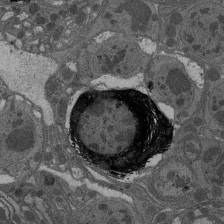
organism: Drosophila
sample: Antenna